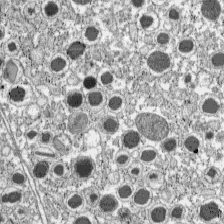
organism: C57BL Mouse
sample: Pancreatic islet